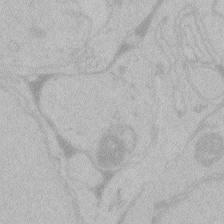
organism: Zebrafish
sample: Macrophage infected with Toxoplasma gondii